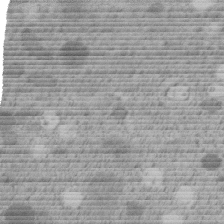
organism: C. elegans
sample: C. elegans embryo early stage